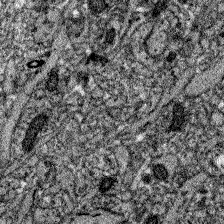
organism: Zebrafish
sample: Larval olfactory bulb